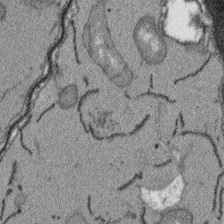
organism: Arabidopsis thaliana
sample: Root tip